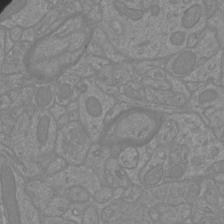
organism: Mouse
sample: Cortical neurons